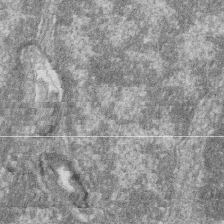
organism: Zebrafish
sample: Cilia; retinal pigment epithelium